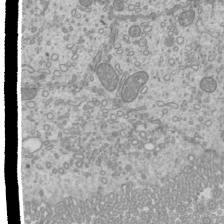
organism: Mouse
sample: Cilia; mouse epididymis